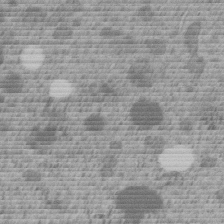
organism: C. elegans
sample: C. elegans embryo early stage